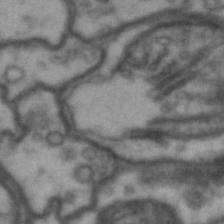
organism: Drosophila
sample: Brain